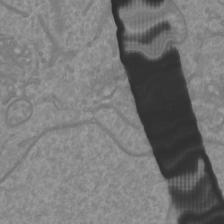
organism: Mouse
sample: Cortical neurons